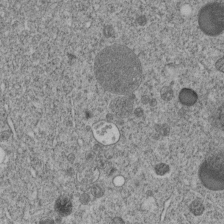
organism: C. elegans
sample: C. elegans embryo early stage